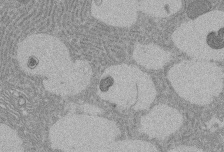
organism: Rat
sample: Salivary granule